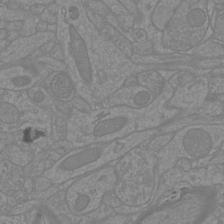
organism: Mouse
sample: Cortical neurons